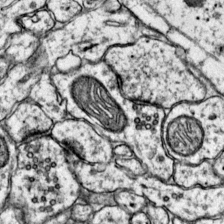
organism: Mouse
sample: Primary visual cortex